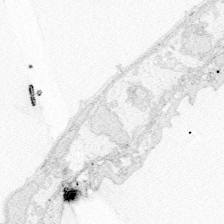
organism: Zebrafish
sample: Whole-Brain